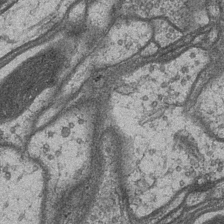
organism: Drosophila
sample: Optic medulla